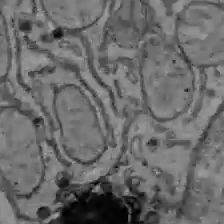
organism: C57BL Mouse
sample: Liver